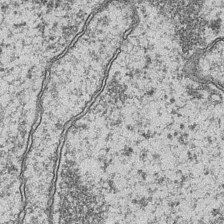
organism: Mouse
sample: CA1 Hippocampus